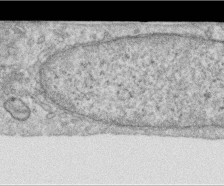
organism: Human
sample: Centriole in RPE cells